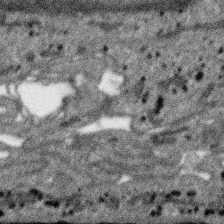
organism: Human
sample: Lung epithelial cells infected with SARS-CoV-2